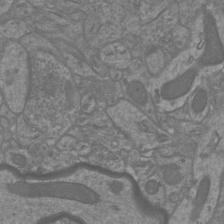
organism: Mouse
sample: Cortical neurons